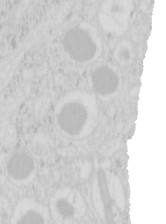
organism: Mouse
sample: Pancreas